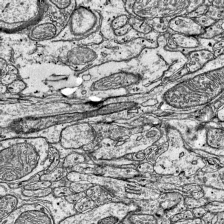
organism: Mouse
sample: Visual Cortex